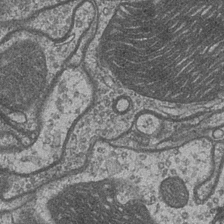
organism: Drosophila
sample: Optic medulla